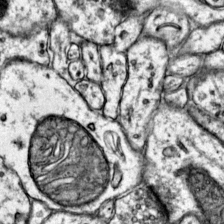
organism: Mouse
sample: Primary visual cortex